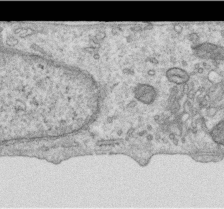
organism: Human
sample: Centriole in RPE cells